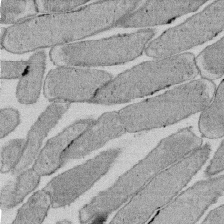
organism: E. coli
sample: Bacterial nucleoid